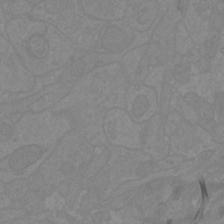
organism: Mouse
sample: Cortical neurons